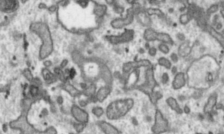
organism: Toxoplasma gondii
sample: Parasites in a vacuole inside a host cell